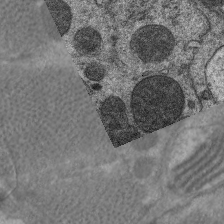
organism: C. elegans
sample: Pharynx